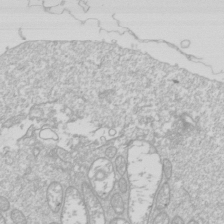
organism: Drosophila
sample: Cell division; meiosis; drosophila spermatocytes